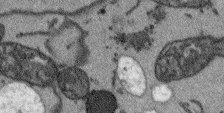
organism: Arabidopsis thaliana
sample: Root tip